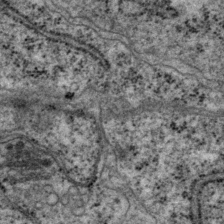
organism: P. pacificus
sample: Pharynx